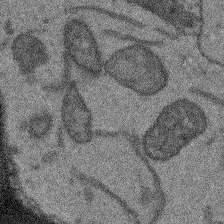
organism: Arabidopsis thaliana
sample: Root tip